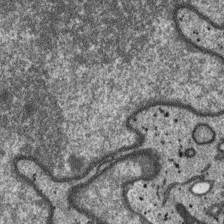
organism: Human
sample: Lung epithelial cells infected with SARS-CoV-2